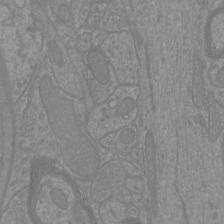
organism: Mouse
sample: Cortical neurons